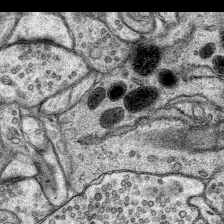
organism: Rat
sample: Hippocampus